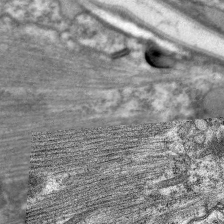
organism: C. elegans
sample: Pharynx